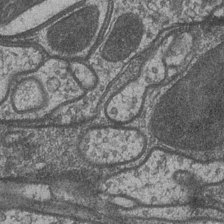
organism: Drosophila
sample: Optic medulla